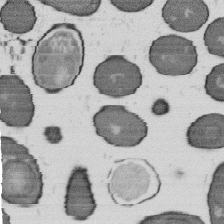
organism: B. subtilis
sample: Bacterial spore